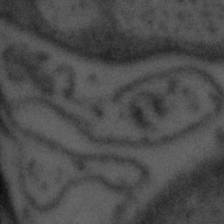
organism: Tuwongella immobilis